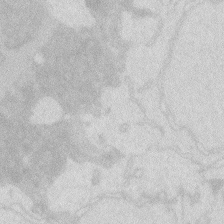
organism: Zebrafish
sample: Macrophage